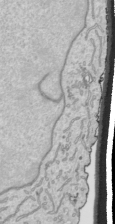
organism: Human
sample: Mitochondria in HCT116 cells